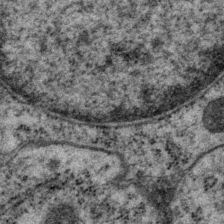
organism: P. pacificus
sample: Pharynx